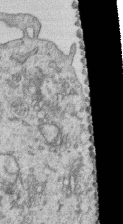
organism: Human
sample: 1205lu cells